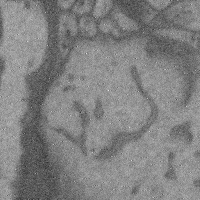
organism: Mouse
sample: Cerebral cortex